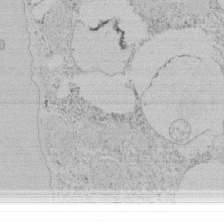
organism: Tetrahymena